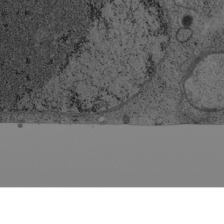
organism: African green monkey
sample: COS-7 cells